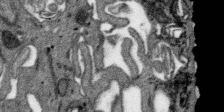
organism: Human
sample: Lung epithelial cells, uninfected (mock) control